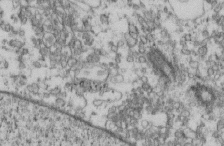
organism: Mouse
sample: Cilia; retinal pigment epithelium